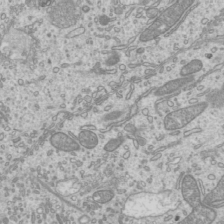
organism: Mouse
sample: Cilia; mouse epididymis